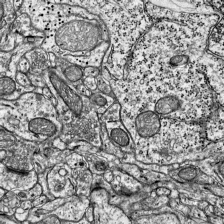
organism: Mouse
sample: Visual Cortex